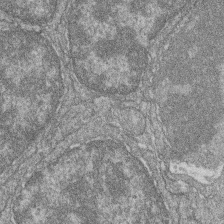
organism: Zebrafish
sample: Cilia; retinal pigment epithelium